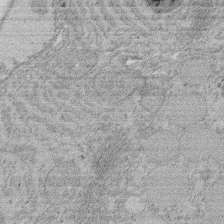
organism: Rat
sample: Salivary granule